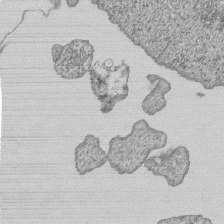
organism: Human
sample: MDA-MB-231 cells